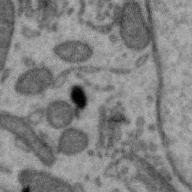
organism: Zebra finch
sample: Brain